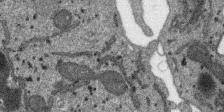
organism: Human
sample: Lung epithelial cells infected with SARS-CoV-2